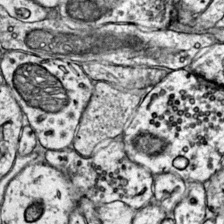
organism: Mouse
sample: Primary visual cortex